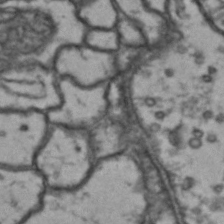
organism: Drosophila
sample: Brain